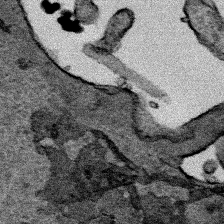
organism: Human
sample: Mitochondria in HCT116 cells